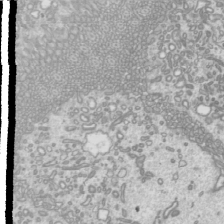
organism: Mouse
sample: Cilia; mouse epididymis